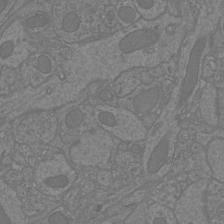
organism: Mouse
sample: Cortical neurons